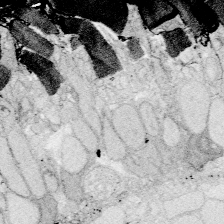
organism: Zebrafish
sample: Whole-Brain